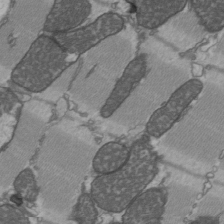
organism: C57BL Mouse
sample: Heart